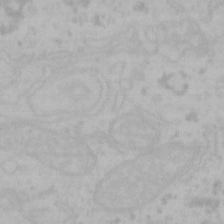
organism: Mouse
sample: Choroid plexus